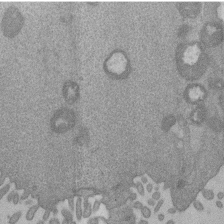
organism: Mouse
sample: Dividing mouse embryo 1 cell stage